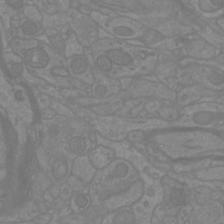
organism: Mouse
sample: Cortical neurons